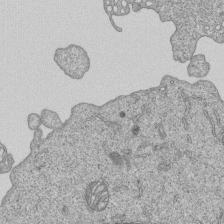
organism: Human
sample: MDA-MB-231 cells